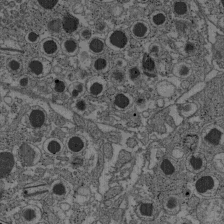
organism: C57BL Mouse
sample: Pancreatic islet